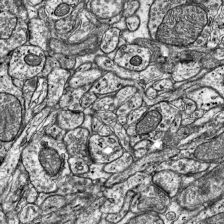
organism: Mouse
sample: Visual Cortex